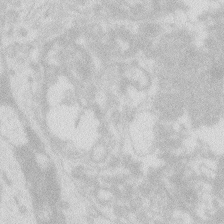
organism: Zebrafish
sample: Macrophage